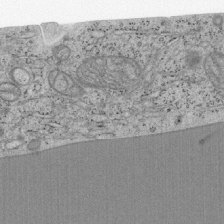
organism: Human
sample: HeLa cells